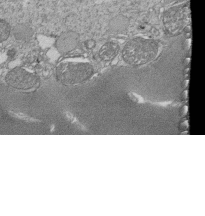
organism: Tetrahymena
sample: Cilia in tetrahymena